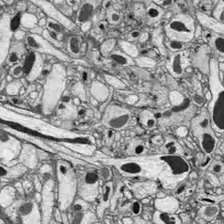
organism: Drosophila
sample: Optic lobe